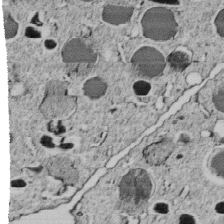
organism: C. elegans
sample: C. elegans embryo early stage